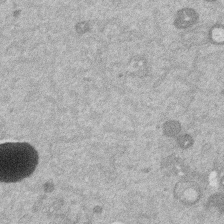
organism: Mouse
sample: Dividing mouse embryo 1 cell stage